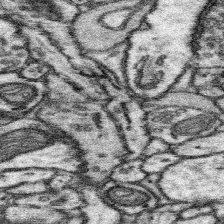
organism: Mouse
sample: Somatosensory cortex neuropil